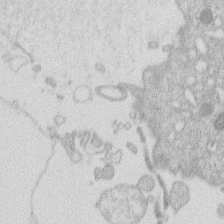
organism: Human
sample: Macrophage cells